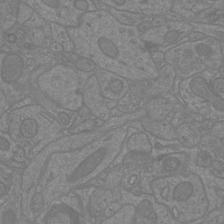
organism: Mouse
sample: Cortical neurons